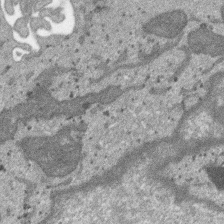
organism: Human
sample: Lung epithelial cells infected with SARS-CoV-2